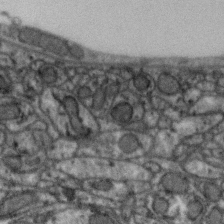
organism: Zebra finch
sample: Brain